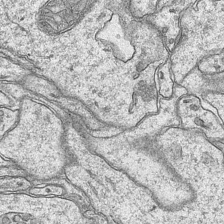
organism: Mouse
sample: CA1 Hippocampus